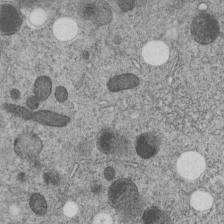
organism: C. elegans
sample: C. elegans embryo early stage